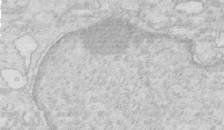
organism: Mouse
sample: Multiciliated cells